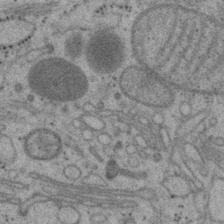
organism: Human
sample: HeLa cells